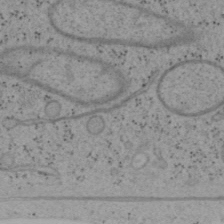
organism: Human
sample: HeLa cells